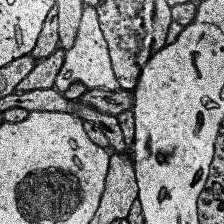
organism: Human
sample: Temporal Lobe